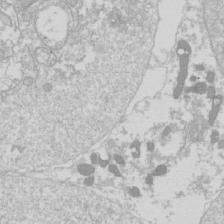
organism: Drosophila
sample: Cell division; meiosis; drosophila spermatocytes